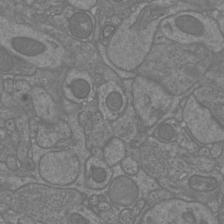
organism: Mouse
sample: Cortical neurons